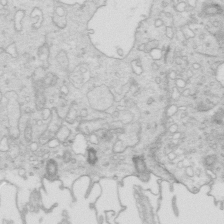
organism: Mouse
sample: Multiciliated cells